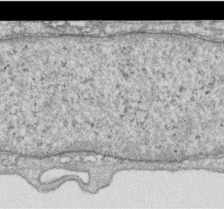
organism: Human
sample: Centriole in RPE cells